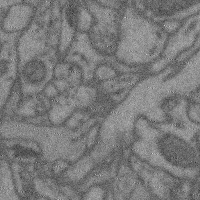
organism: Mouse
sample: Cerebral cortex